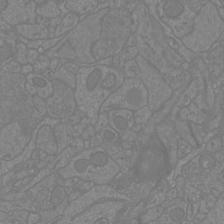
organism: Mouse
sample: Cortical neurons